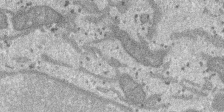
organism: Human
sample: Lung epithelial cells infected with SARS-CoV-2